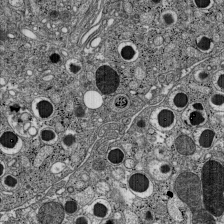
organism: C57BL Mouse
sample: Pancreatic islet